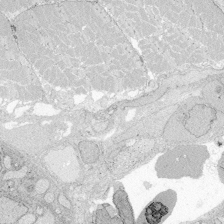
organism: Zebrafish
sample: Whole-Brain